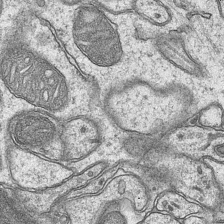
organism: Mouse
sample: CA1 Hippocampus